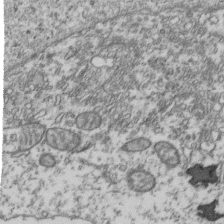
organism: Human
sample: Activated Jurkat CD4+ T cells